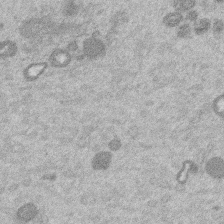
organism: Mouse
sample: Dividing mouse embryo 1 cell stage